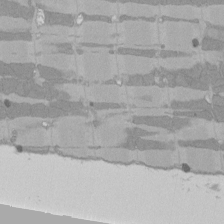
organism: Rat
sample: Left ventricle